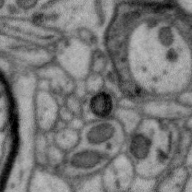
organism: Zebra finch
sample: Brain